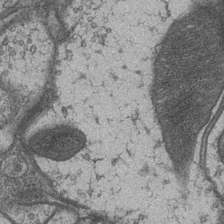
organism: Drosophila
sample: Optic medulla